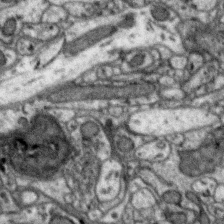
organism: Zebra finch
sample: Brain